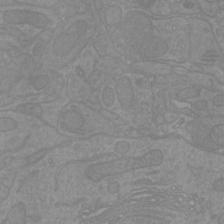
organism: Mouse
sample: Cortical neurons